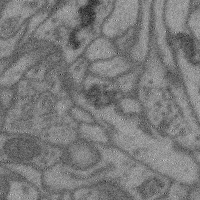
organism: Mouse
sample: Cerebral cortex